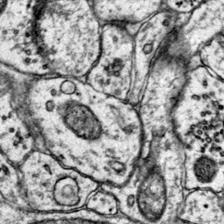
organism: Mouse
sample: Primary visual cortex